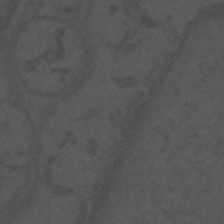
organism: Mouse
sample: Suprachiasmatic nucleus